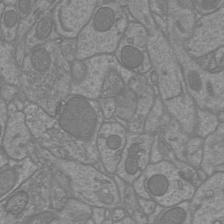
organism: Mouse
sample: Cortical neurons